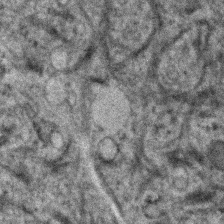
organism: Human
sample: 1205lu cells